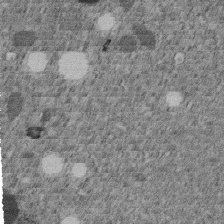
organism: C. elegans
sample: C. elegans embryo early stage